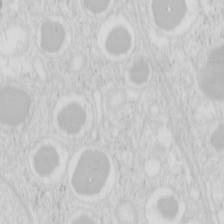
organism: Mouse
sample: Pancreas